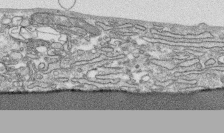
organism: Human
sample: CRL-1474